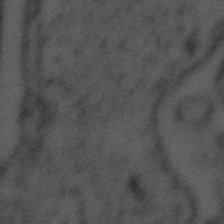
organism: Tuwongella immobilis